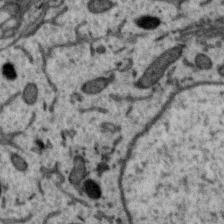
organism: Zebra finch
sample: Brain